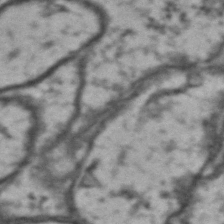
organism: Drosophila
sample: Brain